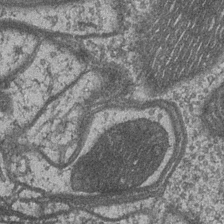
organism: Drosophila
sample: Optic medulla